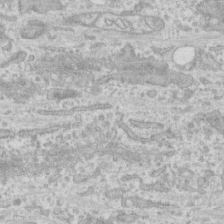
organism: Human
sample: CRL-1474